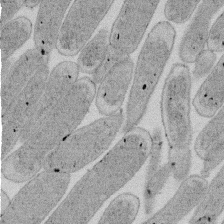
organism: E. coli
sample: Bacterial nucleoid